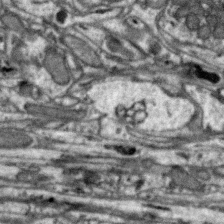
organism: Zebra finch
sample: Brain